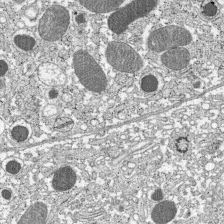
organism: C57BL Mouse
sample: Pancreatic islet